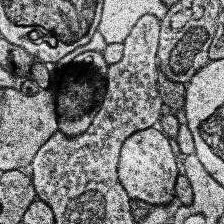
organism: Human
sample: Temporal Lobe